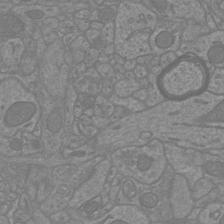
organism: Mouse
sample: Cortical neurons